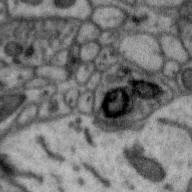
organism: Zebra finch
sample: Brain